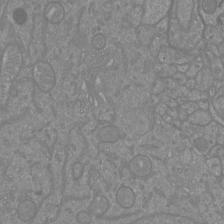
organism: Mouse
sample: Cortical neurons